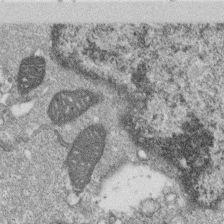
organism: African green monkey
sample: Vero E6 cells infected with SARS-CoV-2